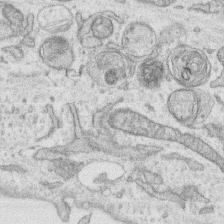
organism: Human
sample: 1205lu cells